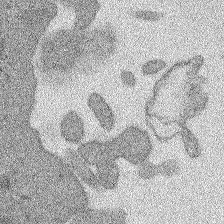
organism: Human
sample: HeLa cells